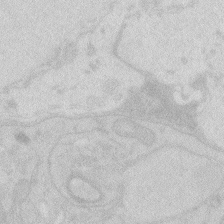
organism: Zebrafish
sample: Macrophage